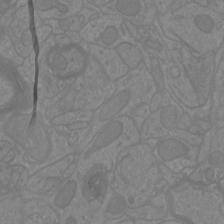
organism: Mouse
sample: Cortical neurons